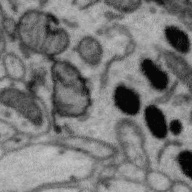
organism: Zebra finch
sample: Brain